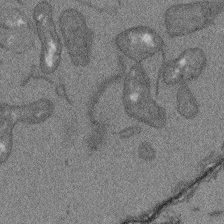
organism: Arabidopsis thaliana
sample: Root tip